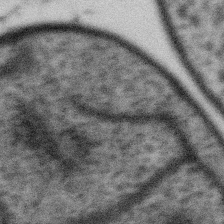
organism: Gemmata obscuriglobus